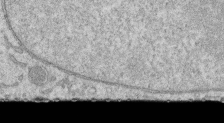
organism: Human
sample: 1205lu cells